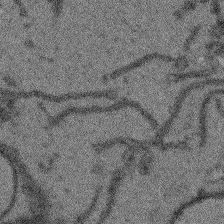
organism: Arabidopsis thaliana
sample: Root tip